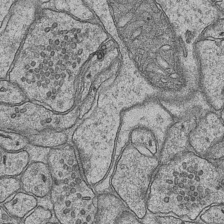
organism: Mouse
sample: CA1 Hippocampus